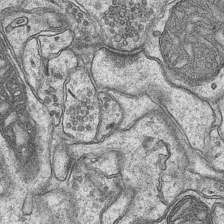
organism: Mouse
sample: CA1 Hippocampus